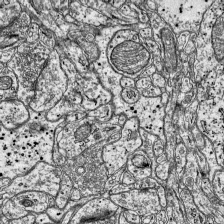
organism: Mouse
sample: Visual Cortex